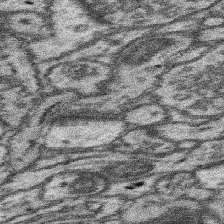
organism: Mouse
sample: Somatosensory cortex neuropil